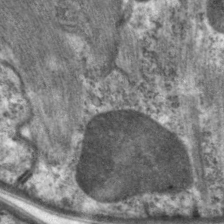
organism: C. elegans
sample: Pharynx